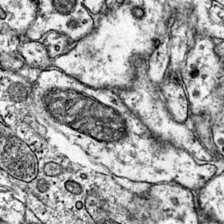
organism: Mouse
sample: Primary visual cortex